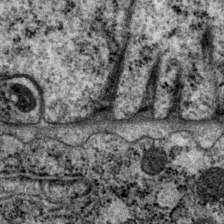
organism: P. pacificus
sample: Pharynx